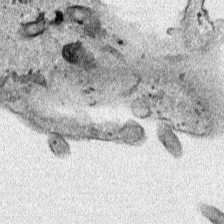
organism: Human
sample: Mitochondria in HCT116 cells